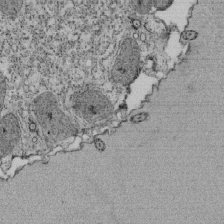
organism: Tetrahymena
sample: Cilia in tetrahymena